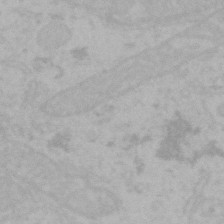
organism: Mouse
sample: Choroid plexus